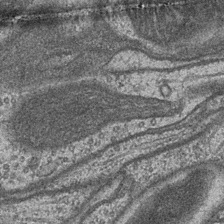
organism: Drosophila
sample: Optic medulla